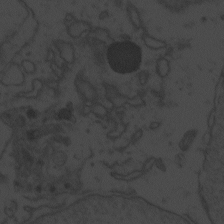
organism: Zebrafish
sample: Macrophage infected with Toxoplasma gondii